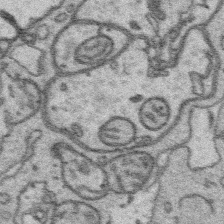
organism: Platynereis dumerilii